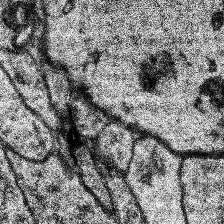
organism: Human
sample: Temporal Lobe